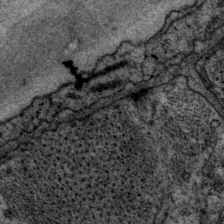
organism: P. pacificus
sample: Pharynx